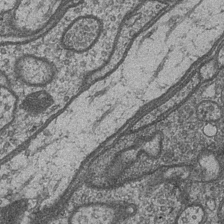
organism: Drosophila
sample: Optic medulla